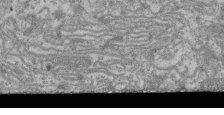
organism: Mouse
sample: Glomerulus